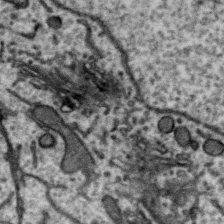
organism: Zebra finch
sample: Brain